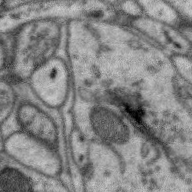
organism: Zebra finch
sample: Brain